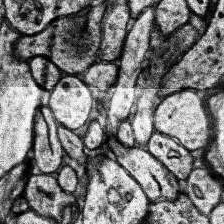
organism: Human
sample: Temporal Lobe